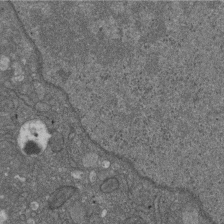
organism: Drosophila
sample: Nephrocyte